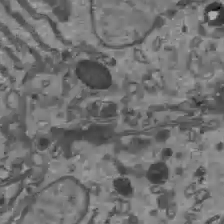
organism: C57BL Mouse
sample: Liver